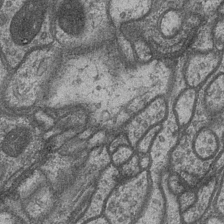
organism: Drosophila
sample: Optic medulla